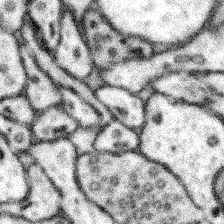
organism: Mouse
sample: Somatosensory cortex neuropil